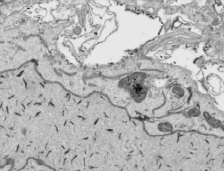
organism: Human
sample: Mitochondria in HCT116 cells